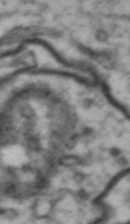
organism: Drosophila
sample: Brain